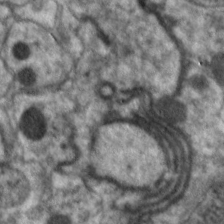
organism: C. elegans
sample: Pharynx